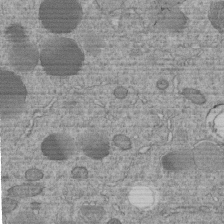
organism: C. elegans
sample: C. elegans embryo early stage